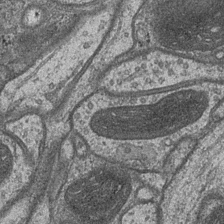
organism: Drosophila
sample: Optic medulla